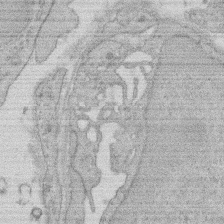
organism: Rat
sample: Salivary granule